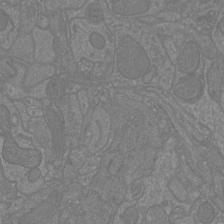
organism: Mouse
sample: Cortical neurons